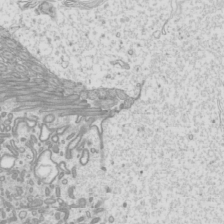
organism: Mouse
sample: Cilia; mouse epididymis